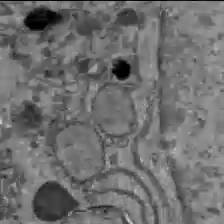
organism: C57BL Mouse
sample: Liver